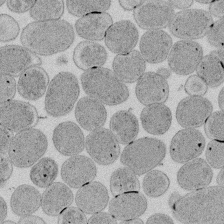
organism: E. coli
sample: Bacterial nucleoid